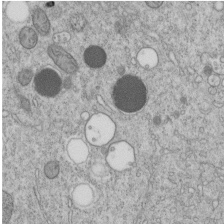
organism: C. elegans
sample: C. elegans embryo early stage